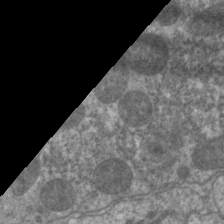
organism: C. elegans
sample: Pharynx